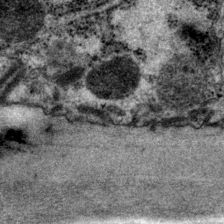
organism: P. pacificus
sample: Pharynx